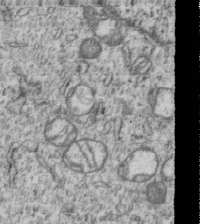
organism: Human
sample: MDA-MB-231 cells